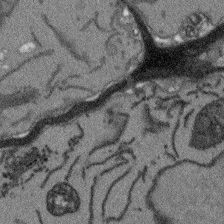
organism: Arabidopsis thaliana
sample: Root tip